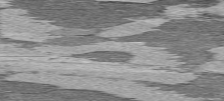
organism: C57BL Mouse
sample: Heart